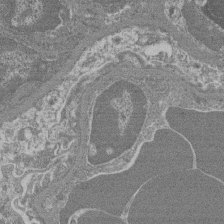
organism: Mouse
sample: Glomerulus